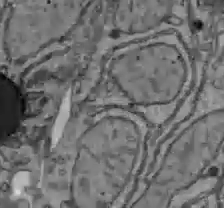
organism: C57BL Mouse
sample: Liver